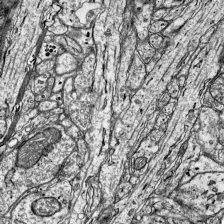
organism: Mouse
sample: Visual Cortex